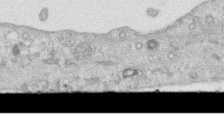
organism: Human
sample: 1205lu cells